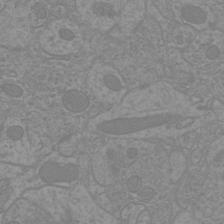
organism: Mouse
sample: Cortical neurons